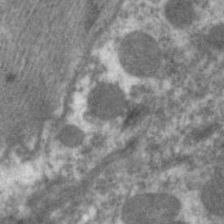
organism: C. elegans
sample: Pharynx